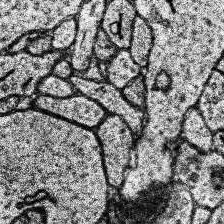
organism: Human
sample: Temporal Lobe